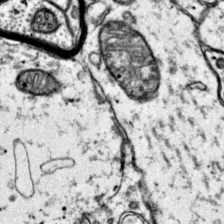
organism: Mouse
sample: Primary visual cortex